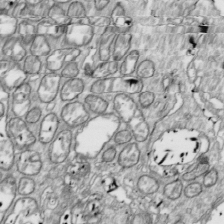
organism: Drosophila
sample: Cell division; meiosis; drosophila spermatocytes